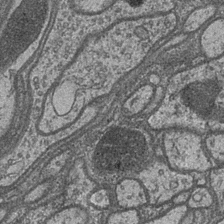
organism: Drosophila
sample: Optic medulla